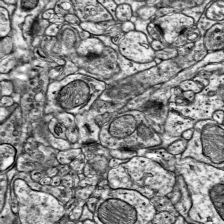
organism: Mouse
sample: Visual Cortex